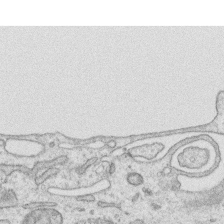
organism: Human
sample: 1205lu cells